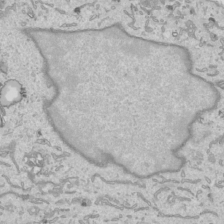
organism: Human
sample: Mitochondria in HCT116 cells